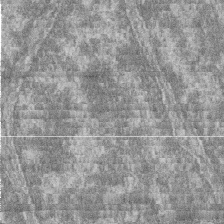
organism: Zebrafish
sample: Cilia; retinal pigment epithelium